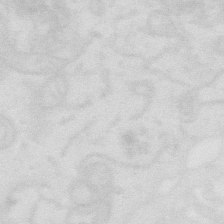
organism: Human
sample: HeLa cells